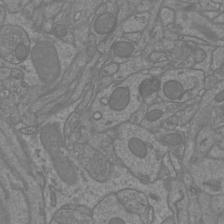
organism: Mouse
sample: Cortical neurons